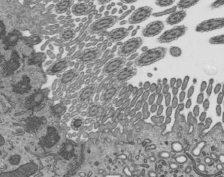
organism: Mouse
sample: Mouse epididymis efferent ductule cilia